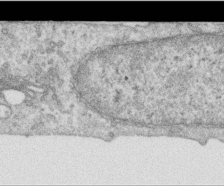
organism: Human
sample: Centriole in RPE cells